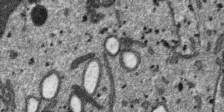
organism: Human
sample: Lung epithelial cells infected with SARS-CoV-2